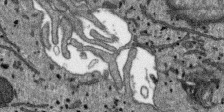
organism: Human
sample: Lung epithelial cells, uninfected (mock) control